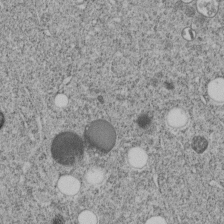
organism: C. elegans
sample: C. elegans embryo early stage